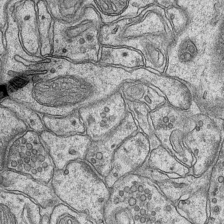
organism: Mouse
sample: CA1 Hippocampus